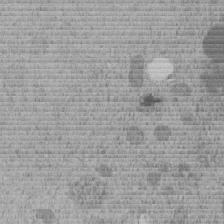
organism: C. elegans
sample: C. elegans embryo early stage